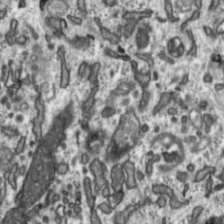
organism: Toxoplasma gondii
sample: Parasites in a vacuole inside a host cell